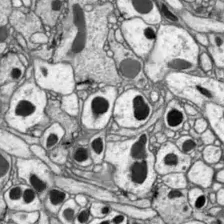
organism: Drosophila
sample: Optic lobe